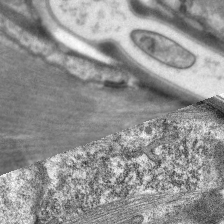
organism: C. elegans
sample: Pharynx